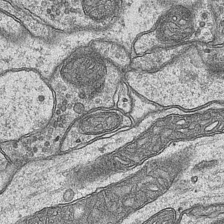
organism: Mouse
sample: CA1 Hippocampus